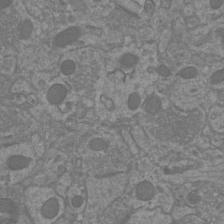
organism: Mouse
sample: Cortical neurons